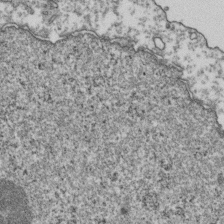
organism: Human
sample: Activated Jurkat CD4+ T cells